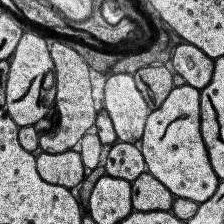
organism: Human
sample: Temporal Lobe